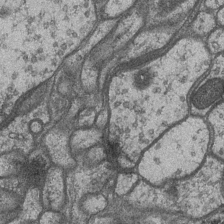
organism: Drosophila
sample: Optic medulla